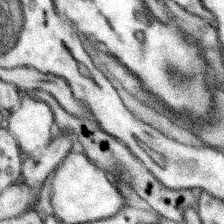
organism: Mouse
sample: Somatosensory cortex neuropil